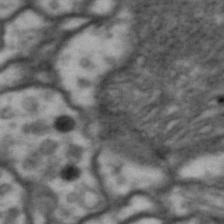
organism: Drosophila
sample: Brain